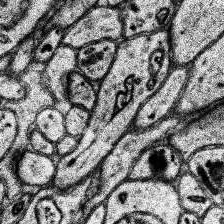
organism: Human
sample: Temporal Lobe